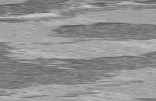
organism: C57BL Mouse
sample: Heart